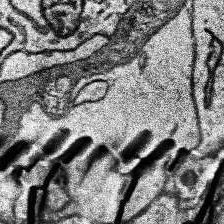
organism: Human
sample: Temporal Lobe